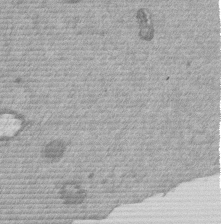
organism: Mouse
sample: Dividing mouse embryo 1 cell stage